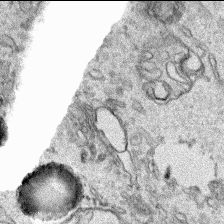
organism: Human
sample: Mitochondria in HCT116 cells